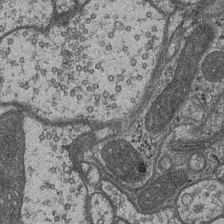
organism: Drosophila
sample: Optic medulla